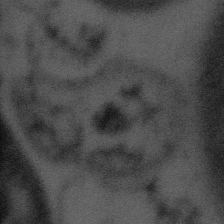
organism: Tuwongella immobilis